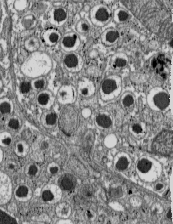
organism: C57BL Mouse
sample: Pancreatic islet